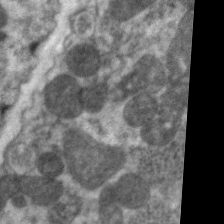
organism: C. elegans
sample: Pharynx